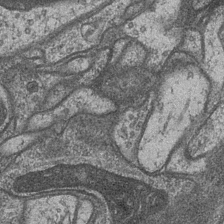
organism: Drosophila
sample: Optic medulla